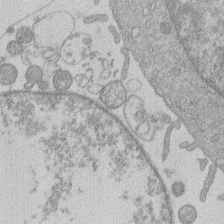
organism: Human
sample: Macrophage cells